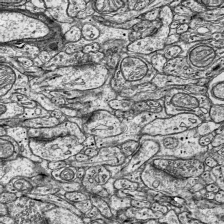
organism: Mouse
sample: Visual Cortex